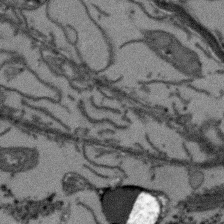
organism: Arabidopsis thaliana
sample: Root tip